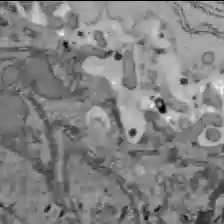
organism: C57BL Mouse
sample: Liver